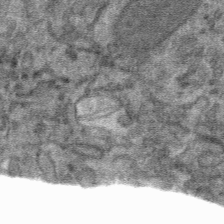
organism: Mouse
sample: Mouse hepatocytes